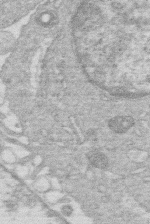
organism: Human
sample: Macrophage cells